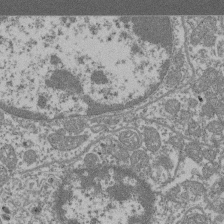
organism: Mouse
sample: Glomerulus